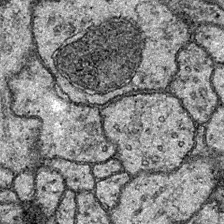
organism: Drosophila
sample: Ventral Nerve Cord